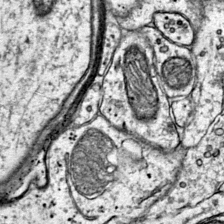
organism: Mouse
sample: Primary visual cortex